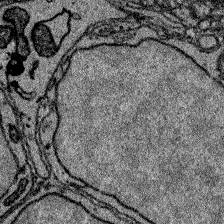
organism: Zebrafish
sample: Larval olfactory bulb